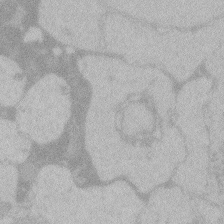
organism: Zebrafish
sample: Macrophage infected with Toxoplasma gondii